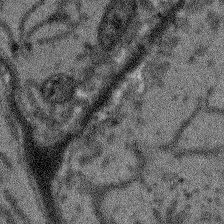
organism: Arabidopsis thaliana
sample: Root tip